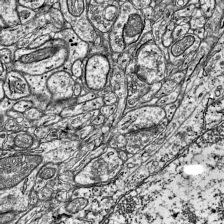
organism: Mouse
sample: Visual Cortex